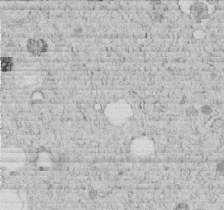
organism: C. elegans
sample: C. elegans embryo early stage